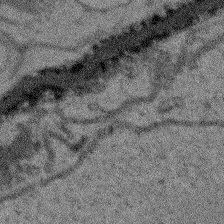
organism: Arabidopsis thaliana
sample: Root tip